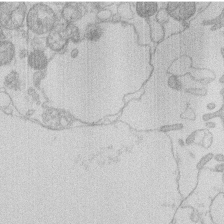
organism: Human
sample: Macrophage cells